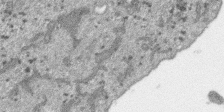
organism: Human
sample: Lung epithelial cells infected with SARS-CoV-2